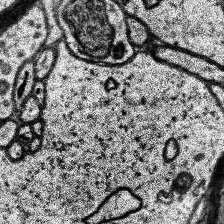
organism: Human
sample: Temporal Lobe